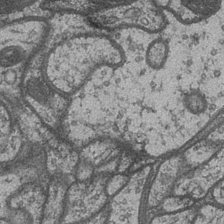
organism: Drosophila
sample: Optic medulla